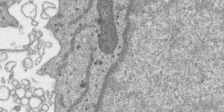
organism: Human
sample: Lung epithelial cells infected with SARS-CoV-2